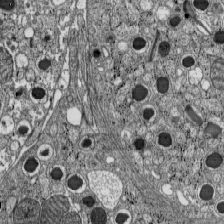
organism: C57BL Mouse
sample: Pancreatic islet